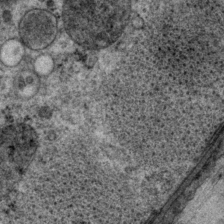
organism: P. pacificus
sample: Pharynx